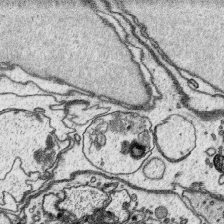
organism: Platynereis dumerilii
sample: Parapodia